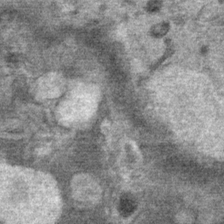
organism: Mouse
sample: Mouse Salivary gland